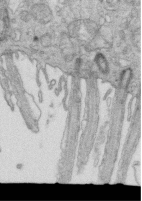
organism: Mouse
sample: Multiciliated cells